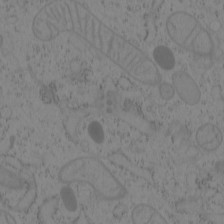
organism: Human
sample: HeLa cells